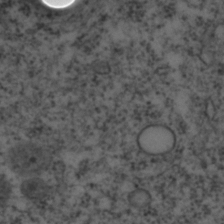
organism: C. elegans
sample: C. elegans embryo